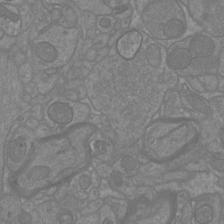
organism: Mouse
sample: Cortical neurons